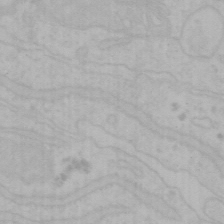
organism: Mouse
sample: Choroid plexus